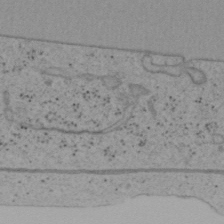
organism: Human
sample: HeLa cells